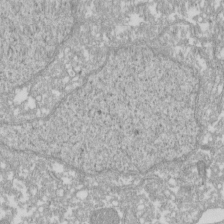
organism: Xenopus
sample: Cilia; centrioles in frog embryo cells